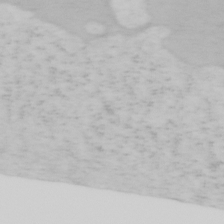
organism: Mouse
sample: OT-I killer T cells with ID8 ovarian cancer cells